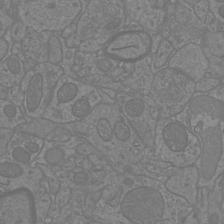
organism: Mouse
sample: Cortical neurons